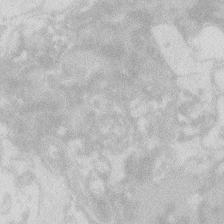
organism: Zebrafish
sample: Macrophage